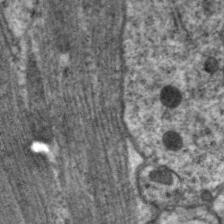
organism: C. elegans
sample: Pharynx